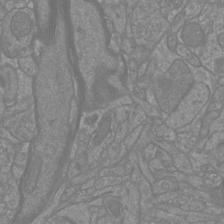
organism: Mouse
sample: Cortical neurons